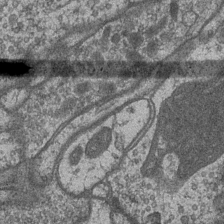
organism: Drosophila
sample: Optic medulla